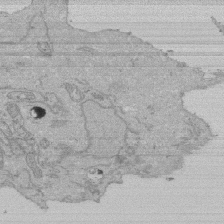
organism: Human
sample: Activated Jurkat CD4+ T cells